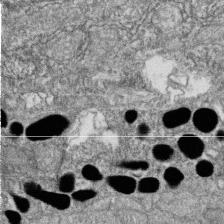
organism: Zebrafish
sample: Cilia; retinal pigment epithelium